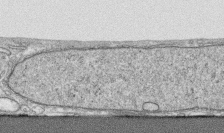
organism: Human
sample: CRL-1474